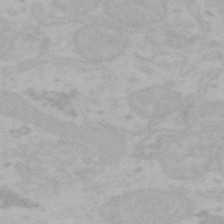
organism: Mouse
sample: Choroid plexus